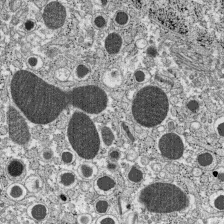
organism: C57BL Mouse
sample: Pancreatic islet